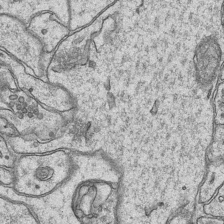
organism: Mouse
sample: CA1 Hippocampus